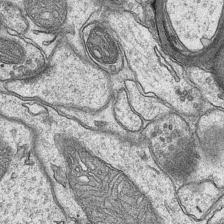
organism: Mouse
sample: CA1 Hippocampus